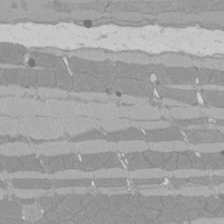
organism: Rat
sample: Left ventricle